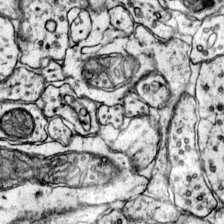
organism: Mouse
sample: Primary visual cortex